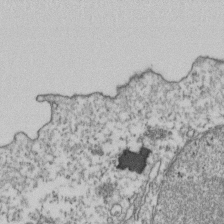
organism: Human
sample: Activated Jurkat CD4+ T cells